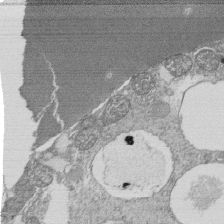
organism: Tetrahymena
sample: Cilia in tetrahymena